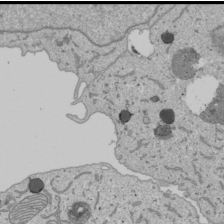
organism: Human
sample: Mitochondria in U2OS cells